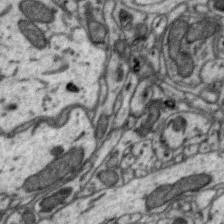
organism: Zebra finch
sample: Brain